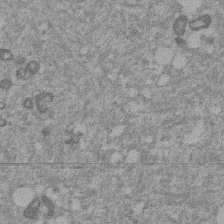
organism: Mouse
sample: Dividing mouse embryo 1 cell stage